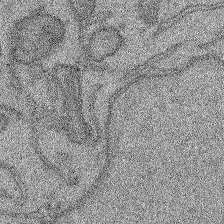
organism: Human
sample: HeLa cells